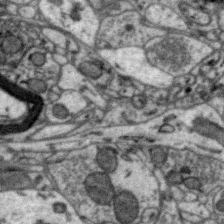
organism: Zebra finch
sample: Brain